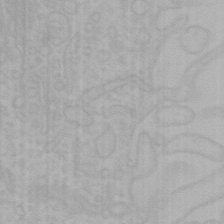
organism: Mouse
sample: Choroid plexus